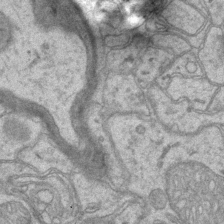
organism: Mouse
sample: CA1 Hippocampus